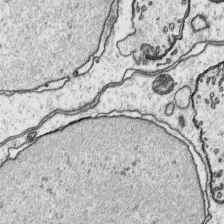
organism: Platynereis dumerilii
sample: Parapodia